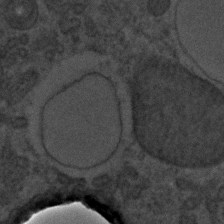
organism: C. elegans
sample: C. elegans embryo